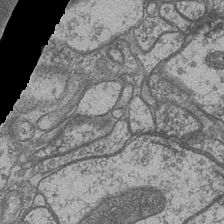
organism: Drosophila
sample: Optic medulla